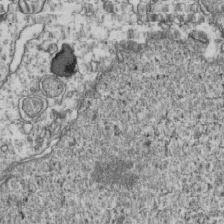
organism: Human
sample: Activated Jurkat CD4+ T cells